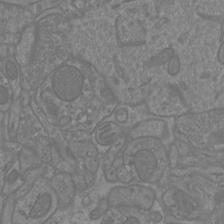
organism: Mouse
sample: Cortical neurons